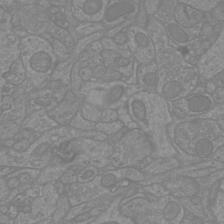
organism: Mouse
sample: Cortical neurons